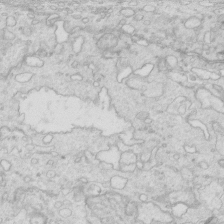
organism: Mouse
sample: Multiciliated cells